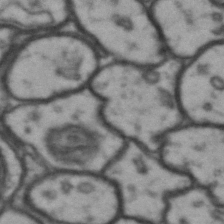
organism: Drosophila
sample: Brain